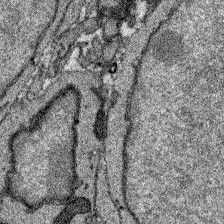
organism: Zebrafish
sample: Larval olfactory bulb